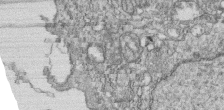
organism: Human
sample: HeLa cell HIV synapse